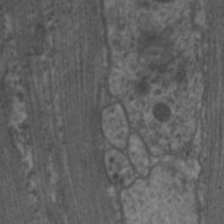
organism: C. elegans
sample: Pharynx